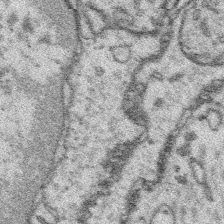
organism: Platynereis dumerilii